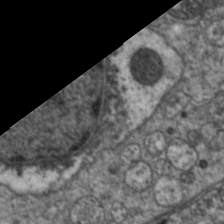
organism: C. elegans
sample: Pharynx